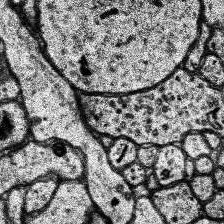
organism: Human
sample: Temporal Lobe